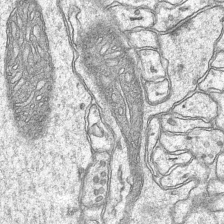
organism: Mouse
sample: CA1 Hippocampus